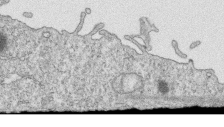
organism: Human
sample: HeLa cell HIV synapse